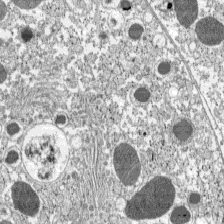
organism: C57BL Mouse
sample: Pancreatic islet